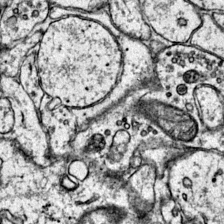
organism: Mouse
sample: Primary visual cortex